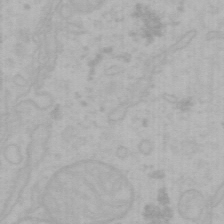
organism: Mouse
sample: Choroid plexus